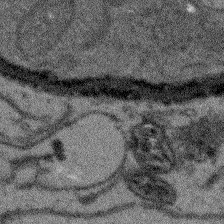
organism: Arabidopsis thaliana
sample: Root tip